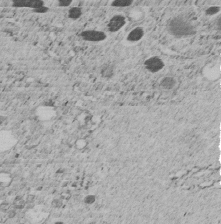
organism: C. elegans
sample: C. elegans embryo early stage